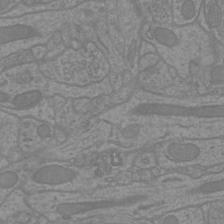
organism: Mouse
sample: Cortical neurons